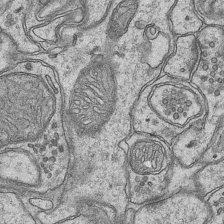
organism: Mouse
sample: CA1 Hippocampus